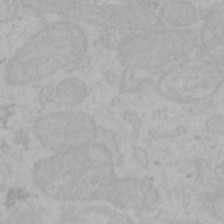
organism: Mouse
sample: Choroid plexus